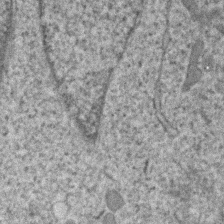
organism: Human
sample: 1205lu cells